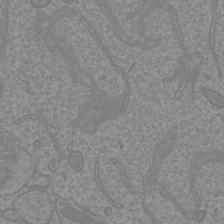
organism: Mouse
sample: Cortical neurons